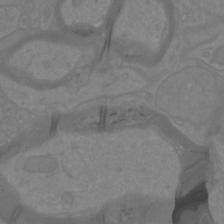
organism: Mouse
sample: Cortical neurons